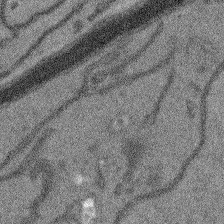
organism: Arabidopsis thaliana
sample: Root tip